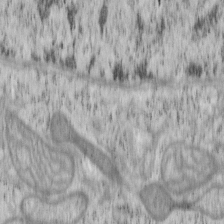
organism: Human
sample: HeLa cells